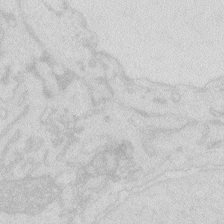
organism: Zebrafish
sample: Macrophage